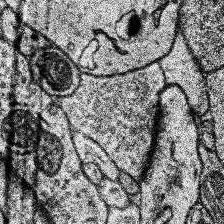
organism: Human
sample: Temporal Lobe